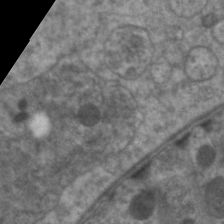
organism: C. elegans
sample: Pharynx